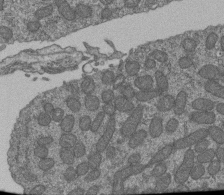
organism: Human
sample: Retinal organoid Rod and Cone cells